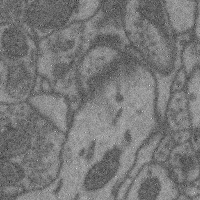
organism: Mouse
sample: Cerebral cortex